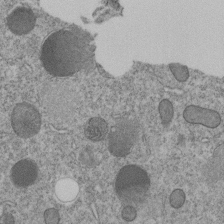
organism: C. elegans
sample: C. elegans embryo early stage